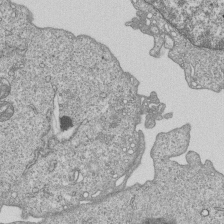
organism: Human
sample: MDA-MB-231 cells